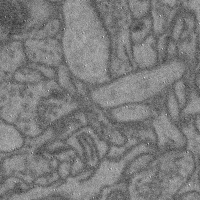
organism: Mouse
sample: Cerebral cortex